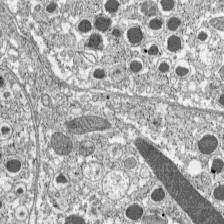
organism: C57BL Mouse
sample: Pancreatic islet